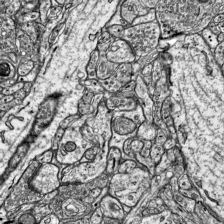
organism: Mouse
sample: Visual Cortex